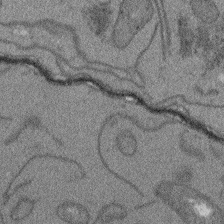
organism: Arabidopsis thaliana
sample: Root tip